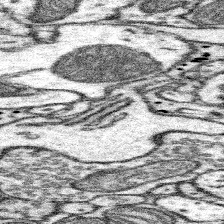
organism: Mouse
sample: Somatosensory cortex neuropil